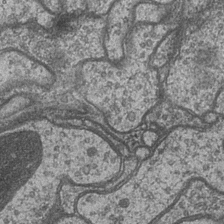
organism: Drosophila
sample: Optic medulla